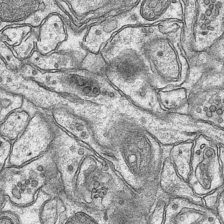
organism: Mouse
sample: CA1 Hippocampus